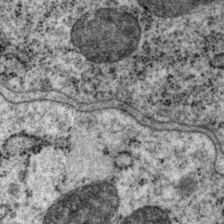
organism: P. pacificus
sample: Pharynx